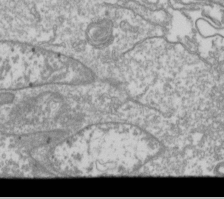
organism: Drosophila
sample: Cell division; meiosis; drosophila spermatocytes